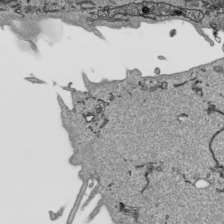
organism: Human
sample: Mitochondria in HCT116 cells